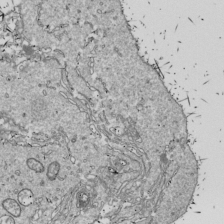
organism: Drosophila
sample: Cell division; meiosis; drosophila spermatocytes